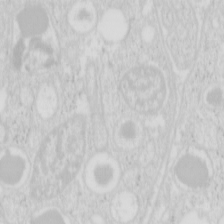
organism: Mouse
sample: Pancreas